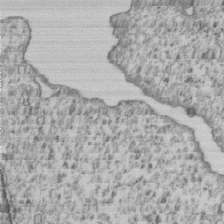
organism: Human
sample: MDA-MB-231 cells